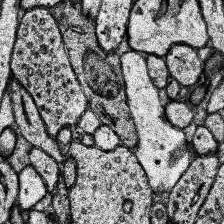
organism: Human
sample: Temporal Lobe